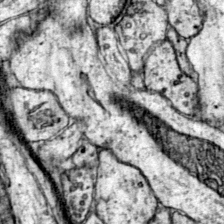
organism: Mouse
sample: Primary visual cortex